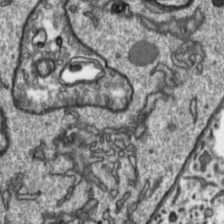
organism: Toxoplasma gondii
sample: Parasites in a vacuole inside a host cell